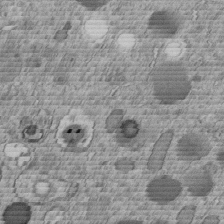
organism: C. elegans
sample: C. elegans embryo early stage